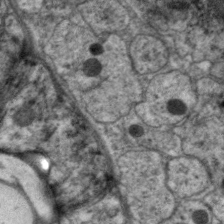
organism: C. elegans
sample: Pharynx